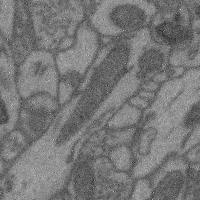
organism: Mouse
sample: Cerebral cortex